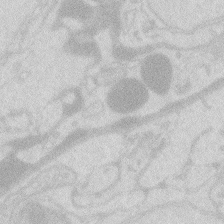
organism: Zebrafish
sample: Macrophage